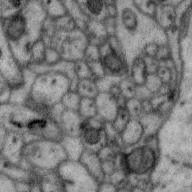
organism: Zebra finch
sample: Brain